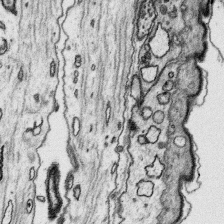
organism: Platynereis dumerilii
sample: Parapodia